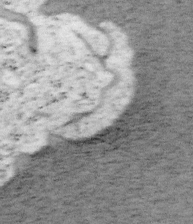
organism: Mouse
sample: OT-I killer T cells with ID8 ovarian cancer cells